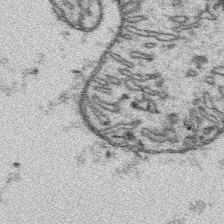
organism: Platynereis dumerilii